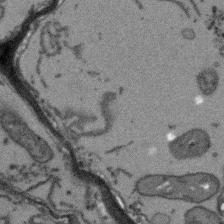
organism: Arabidopsis thaliana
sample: Root tip